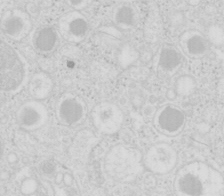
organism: Mouse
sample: Pancreas